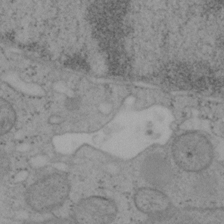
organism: Mouse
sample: OT-I killer T cells with ID8 ovarian cancer cells